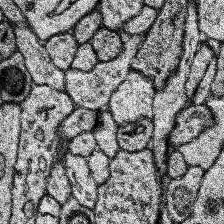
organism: Human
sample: Temporal Lobe